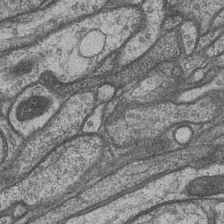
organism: Drosophila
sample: Optic medulla